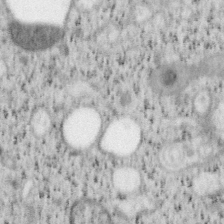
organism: Mouse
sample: OT-I killer T cells with ID8 ovarian cancer cells